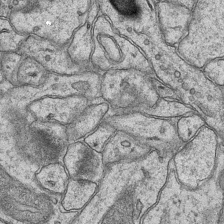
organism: Mouse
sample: CA1 Hippocampus